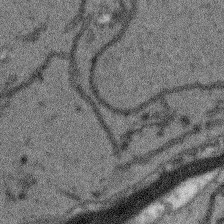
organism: Arabidopsis thaliana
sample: Root tip